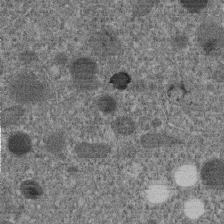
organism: C. elegans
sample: C. elegans embryo early stage